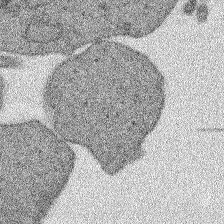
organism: Human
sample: HeLa cells